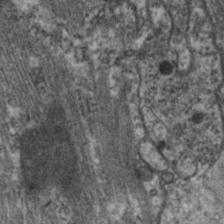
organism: C. elegans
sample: Pharynx